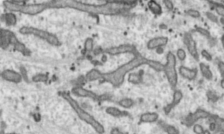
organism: Toxoplasma gondii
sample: Parasites in a vacuole inside a host cell